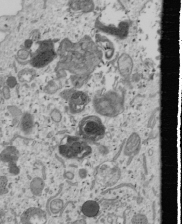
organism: Human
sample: Mitochondria in U2OS cells